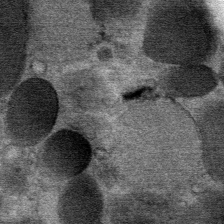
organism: Mouse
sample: Mouse Salivary gland